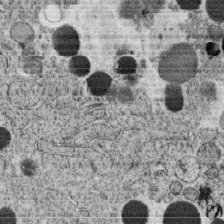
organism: C. elegans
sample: C. elegans oocyte; sperm cells